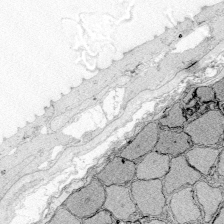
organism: Zebrafish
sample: Whole-Brain